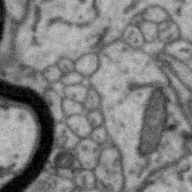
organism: Zebra finch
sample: Brain